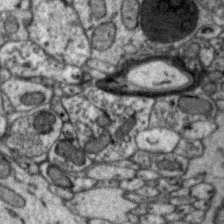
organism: Zebra finch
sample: Brain